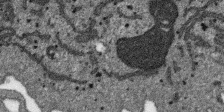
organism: Human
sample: Lung epithelial cells infected with SARS-CoV-2